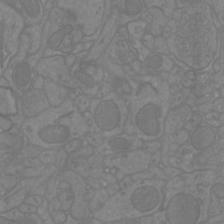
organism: Mouse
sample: Cortical neurons